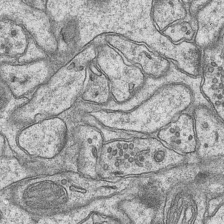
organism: Mouse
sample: CA1 Hippocampus